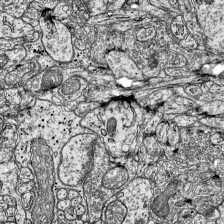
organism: Mouse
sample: Visual Cortex